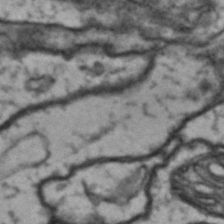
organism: Drosophila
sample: Brain